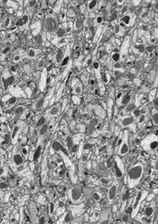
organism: Drosophila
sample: Optic lobe